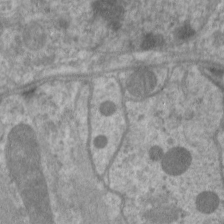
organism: C. elegans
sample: Pharynx